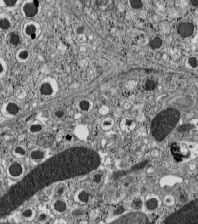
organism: C57BL Mouse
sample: Pancreatic islet